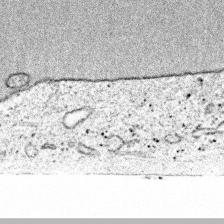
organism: Human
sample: HeLa cells